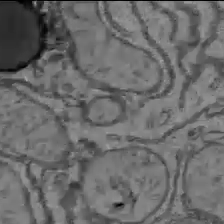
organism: C57BL Mouse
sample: Liver